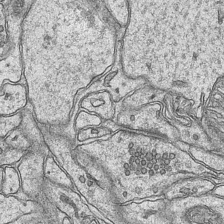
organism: Mouse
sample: CA1 Hippocampus